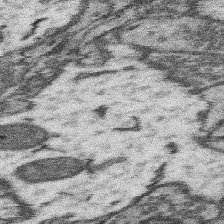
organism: Mouse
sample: Somatosensory cortex neuropil